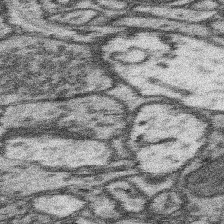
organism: Mouse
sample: Somatosensory cortex neuropil